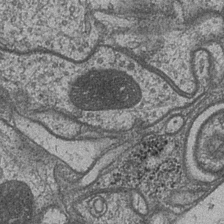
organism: Drosophila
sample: Optic medulla